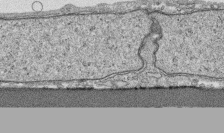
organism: Human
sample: CRL-1474